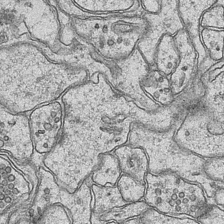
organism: Mouse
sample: CA1 Hippocampus